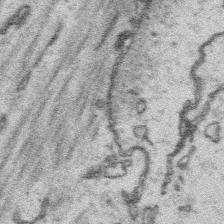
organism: Platynereis dumerilii